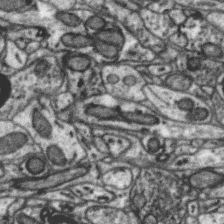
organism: Zebra finch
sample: Brain